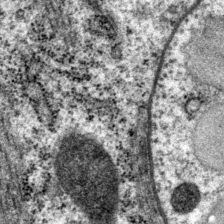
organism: P. pacificus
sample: Pharynx